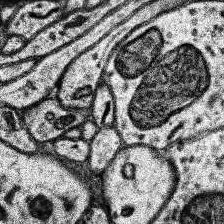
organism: Human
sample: Temporal Lobe